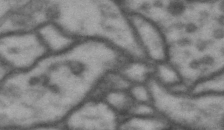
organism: Drosophila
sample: Brain